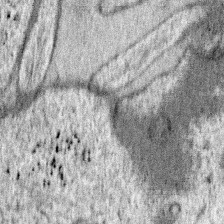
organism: Human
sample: HeLa cells